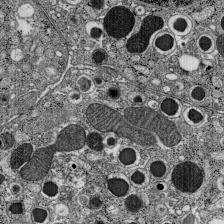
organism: C57BL Mouse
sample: Pancreatic islet